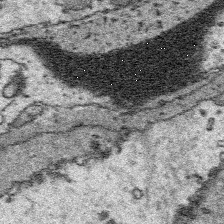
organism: Platynereis dumerilii